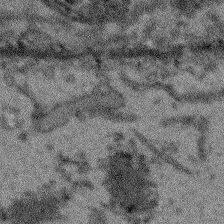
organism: Arabidopsis thaliana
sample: Root tip